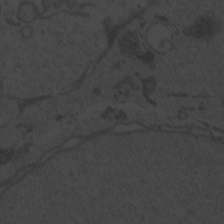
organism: Zebrafish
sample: Macrophage infected with Toxoplasma gondii